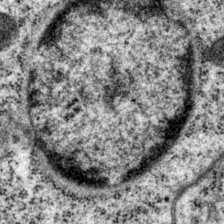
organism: P. pacificus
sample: Pharynx